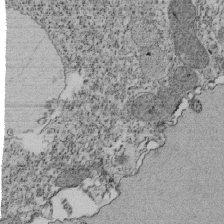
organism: Tetrahymena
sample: Cilia in tetrahymena